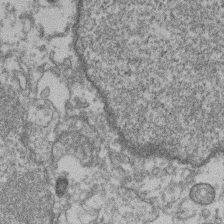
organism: Mouse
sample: T cell stromal cell synapse